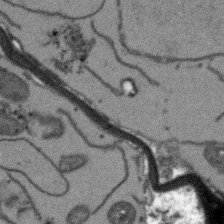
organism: Arabidopsis thaliana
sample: Root tip